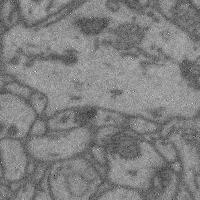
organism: Mouse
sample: Cerebral cortex